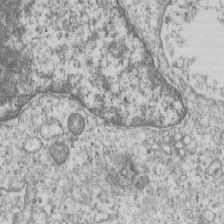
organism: Human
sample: MDA-MB-231 cells